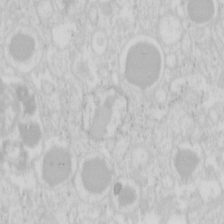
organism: Mouse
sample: Pancreas